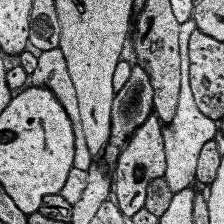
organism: Human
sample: Temporal Lobe